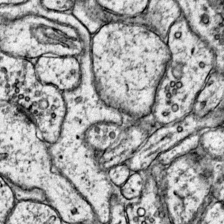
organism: Mouse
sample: Primary visual cortex